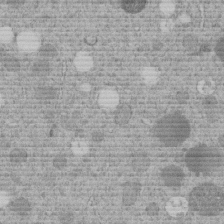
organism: C. elegans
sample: C. elegans embryo early stage